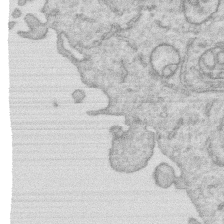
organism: Human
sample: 1205lu cells